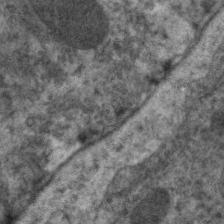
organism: C. elegans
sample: Pharynx